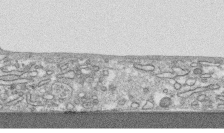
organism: Human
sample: CRL-1474